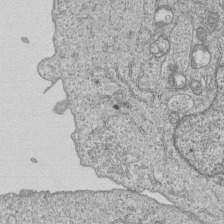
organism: Human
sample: MDA-MB-231 cells